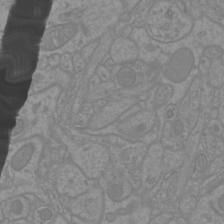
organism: Mouse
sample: Cortical neurons